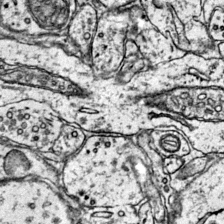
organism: Mouse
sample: Primary visual cortex